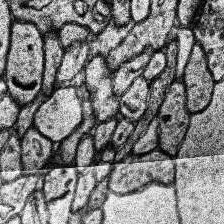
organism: Human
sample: Temporal Lobe